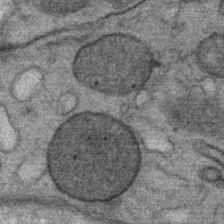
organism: Mouse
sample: Mouse Salivary gland